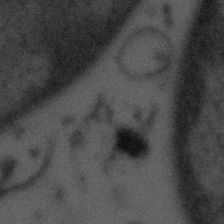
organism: Tuwongella immobilis